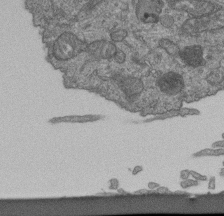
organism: Human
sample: Retinal organoid Rod and Cone cells